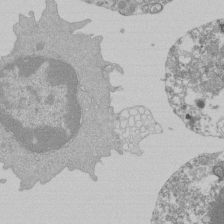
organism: Mouse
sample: Activated Pmel transgenic CD8+ T Cells